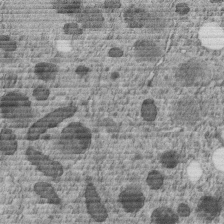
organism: C. elegans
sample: C. elegans embryo early stage